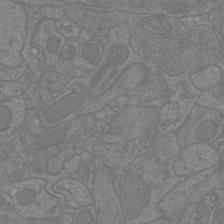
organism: Mouse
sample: Cortical neurons